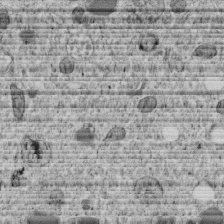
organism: C. elegans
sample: C. elegans embryo early stage